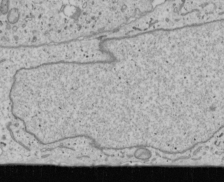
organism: Human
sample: Mitochondria in U2OS cells